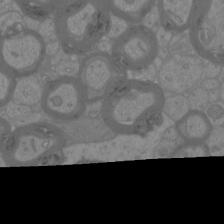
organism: Mouse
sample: Cortical neurons